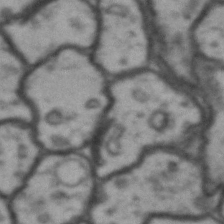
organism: Drosophila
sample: Brain